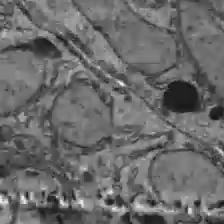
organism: C57BL Mouse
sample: Liver